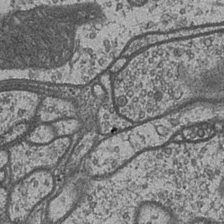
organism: Drosophila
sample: Optic medulla